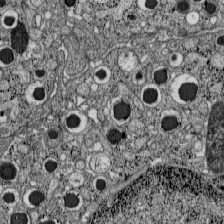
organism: C57BL Mouse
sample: Pancreatic islet